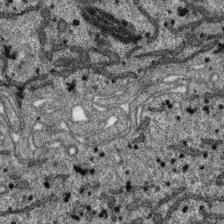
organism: Human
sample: Lung epithelial cells infected with SARS-CoV-2